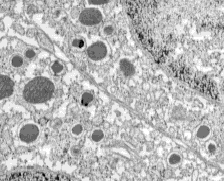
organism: C57BL Mouse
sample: Pancreatic islet